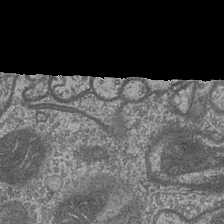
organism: Drosophila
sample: Optic medulla